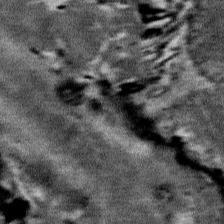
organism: Mouse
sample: Mouse Salivary gland